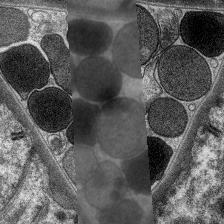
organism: C. elegans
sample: Pharynx